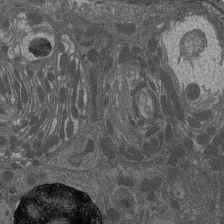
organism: Drosophila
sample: Antenna